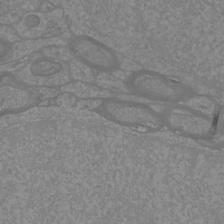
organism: Mouse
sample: Cortical neurons